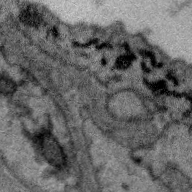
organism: Zebra finch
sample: Brain